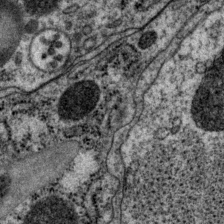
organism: P. pacificus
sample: Pharynx